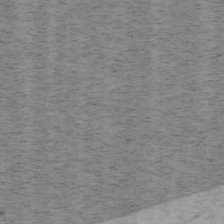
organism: Mouse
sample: OT-I killer T cells with ID8 ovarian cancer cells